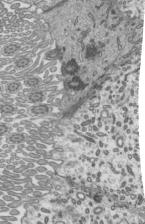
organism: Mouse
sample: Mouse epididymis efferent ductule cilia